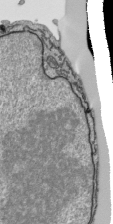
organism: Human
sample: Mitochondria in HCT116 cells